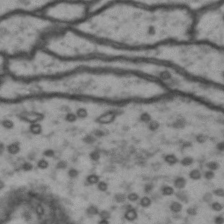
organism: Drosophila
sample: Brain